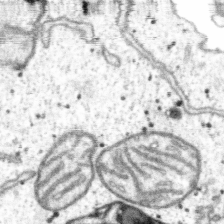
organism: Human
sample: HeLa cells